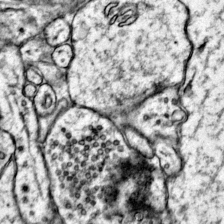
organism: Mouse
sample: Primary visual cortex